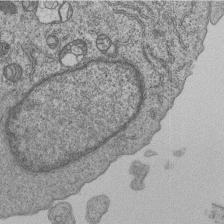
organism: Human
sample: MDA-MB-231 cells